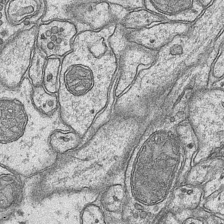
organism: Mouse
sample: CA1 Hippocampus